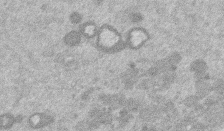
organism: Mouse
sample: Dividing mouse embryo 1 cell stage